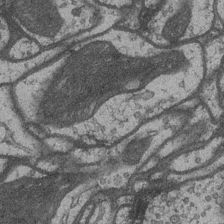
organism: Drosophila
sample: Optic medulla